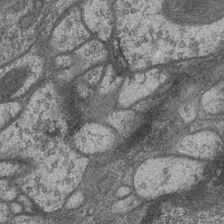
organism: Drosophila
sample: Optic medulla